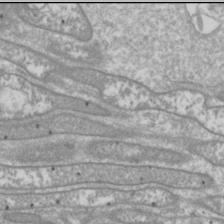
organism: Drosophila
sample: Cell division; meiosis; drosophila spermatocytes